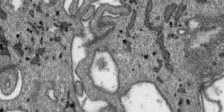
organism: Human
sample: Lung epithelial cells, uninfected (mock) control